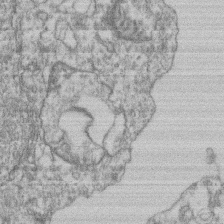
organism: Mouse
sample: T cell stromal cell synapse